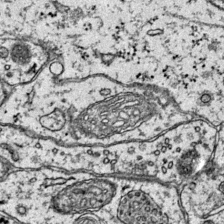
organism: Mouse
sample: Primary visual cortex